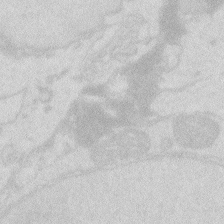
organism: Zebrafish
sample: Macrophage